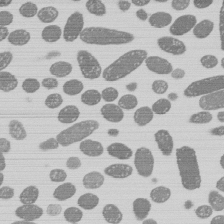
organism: E. coli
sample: Bacterial nucleoid